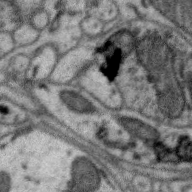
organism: Zebra finch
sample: Brain